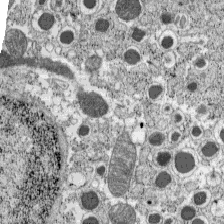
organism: C57BL Mouse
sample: Pancreatic islet